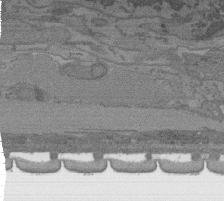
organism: C. elegans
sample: AFD neurons C. elegans